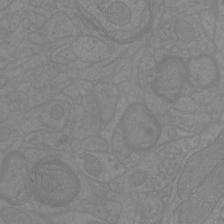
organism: Mouse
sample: Cortical neurons